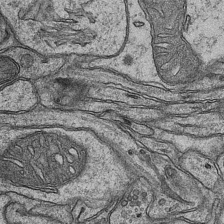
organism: Mouse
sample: CA1 Hippocampus